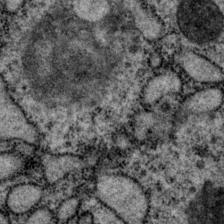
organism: P. pacificus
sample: Pharynx